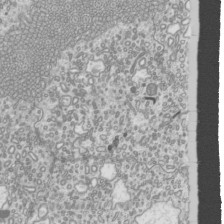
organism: Mouse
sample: Cilia; mouse epididymis